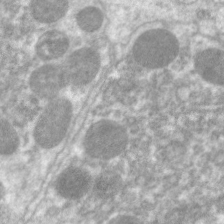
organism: C. elegans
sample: Pharynx